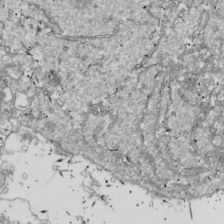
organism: Drosophila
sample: Cell division; meiosis; drosophila spermatocytes